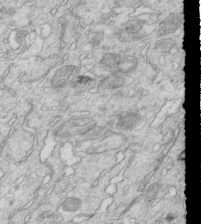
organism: Mouse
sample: Multiciliated cells